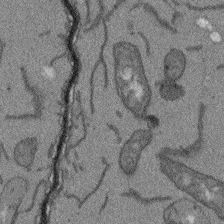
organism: Arabidopsis thaliana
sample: Root tip